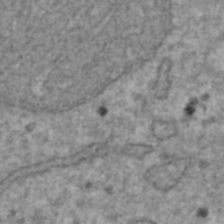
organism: Human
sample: Blood